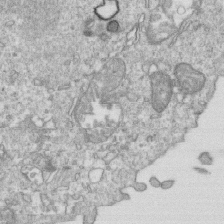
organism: Mouse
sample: Activated OT-1 CD8+ T cells